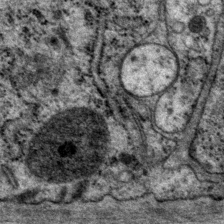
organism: P. pacificus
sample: Pharynx